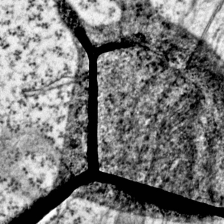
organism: Mouse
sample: Primary visual cortex